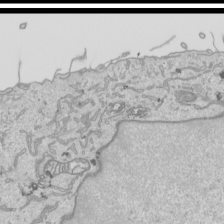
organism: Human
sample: Mitochondria in HCT116 cells